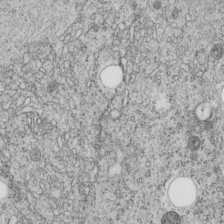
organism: C. elegans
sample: C. elegans embryo early stage